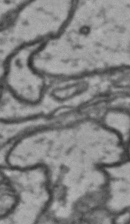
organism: Drosophila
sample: Brain